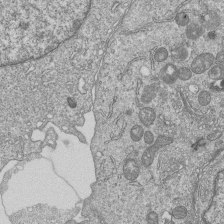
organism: Human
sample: MDA-MB-231 cells